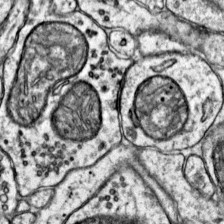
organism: Mouse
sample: Primary visual cortex